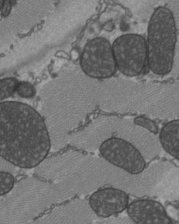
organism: C57BL Mouse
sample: Heart